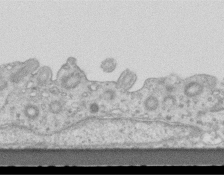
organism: Mouse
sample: Centriole in ependymal cells